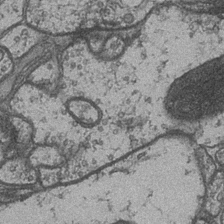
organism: Drosophila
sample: Optic medulla